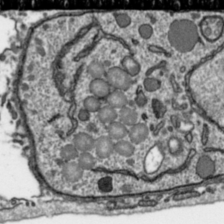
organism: Toxoplasma gondii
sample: Parasites in a vacuole inside a host cell